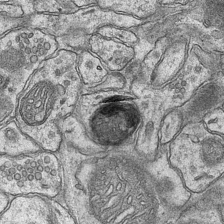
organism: Mouse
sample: CA1 Hippocampus